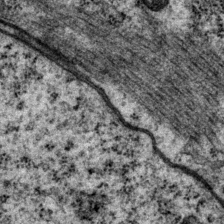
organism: P. pacificus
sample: Pharynx